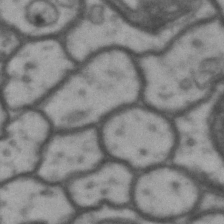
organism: Drosophila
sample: Brain